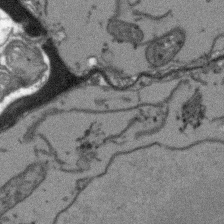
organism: Arabidopsis thaliana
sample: Root tip